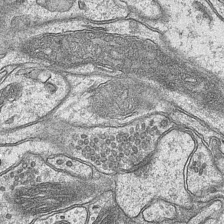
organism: Mouse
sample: CA1 Hippocampus